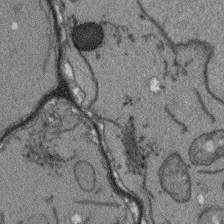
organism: Arabidopsis thaliana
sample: Root tip